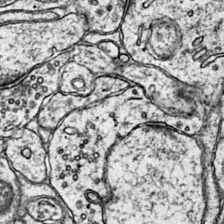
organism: Mouse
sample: Primary visual cortex